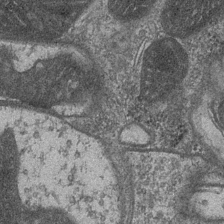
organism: Drosophila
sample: Optic medulla